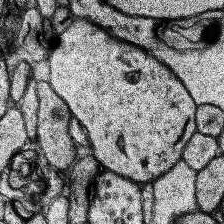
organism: Human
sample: Temporal Lobe